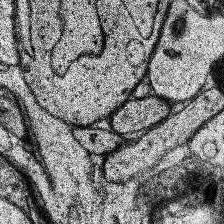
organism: Human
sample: Temporal Lobe